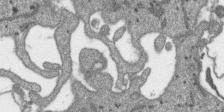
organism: Human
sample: Lung epithelial cells infected with SARS-CoV-2